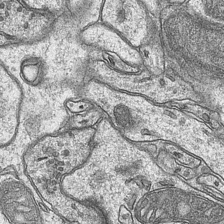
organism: Mouse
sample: CA1 Hippocampus